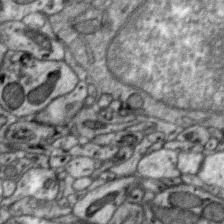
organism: Zebra finch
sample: Brain